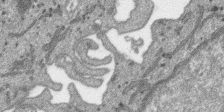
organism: Human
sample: Lung epithelial cells infected with SARS-CoV-2